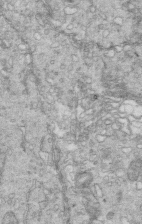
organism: Mouse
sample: Multiciliated cells